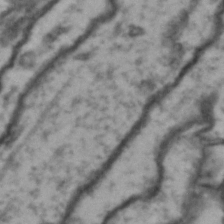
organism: Drosophila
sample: Brain